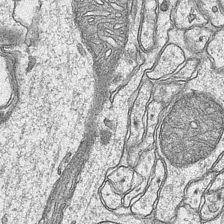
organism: Mouse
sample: CA1 Hippocampus